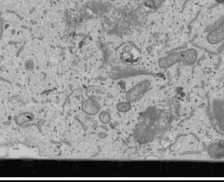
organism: Human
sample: Mitochondria in U2OS cells